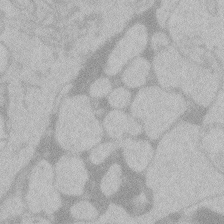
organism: Zebrafish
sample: Macrophage infected with Toxoplasma gondii